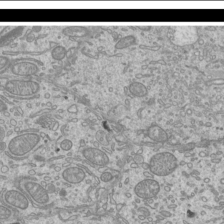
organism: Mouse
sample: Cilia; mouse epididymis